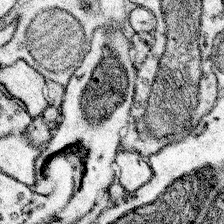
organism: Mouse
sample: Somatosensory cortex neuropil